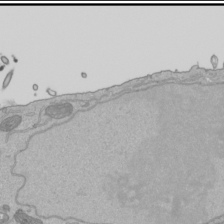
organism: Human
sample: Mitochondria in HCT116 cells